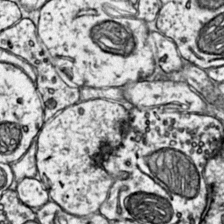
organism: Mouse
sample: Primary visual cortex